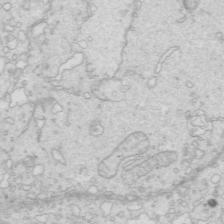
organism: Mouse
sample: Multiciliated cells